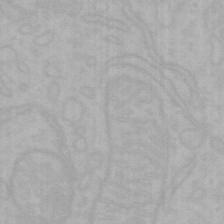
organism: Mouse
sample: Choroid plexus